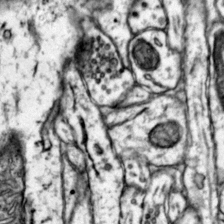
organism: Mouse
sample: Primary visual cortex